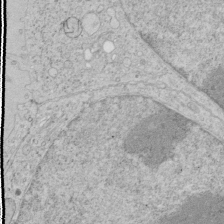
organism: Human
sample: Mitochondria in HCT116 cells